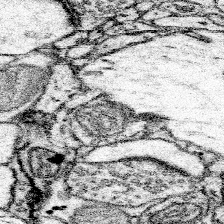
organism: Mouse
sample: Somatosensory cortex neuropil